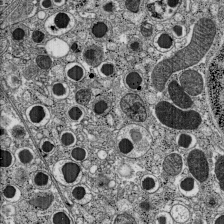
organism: C57BL Mouse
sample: Pancreatic islet